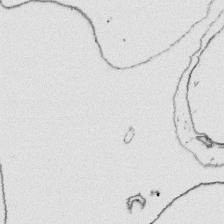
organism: Platynereis dumerilii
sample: Parapodia